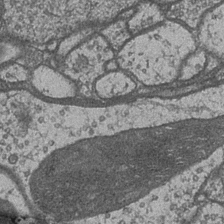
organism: Drosophila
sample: Optic medulla